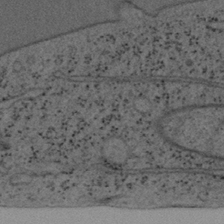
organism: Human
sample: HeLa cells